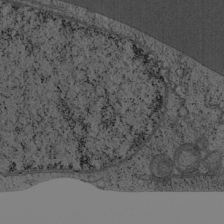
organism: African green monkey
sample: COS-7 cells